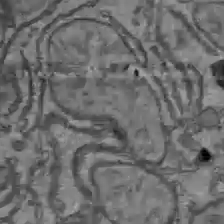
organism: C57BL Mouse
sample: Liver